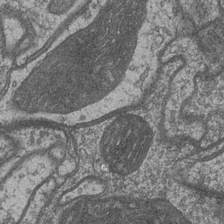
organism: Drosophila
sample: Optic medulla